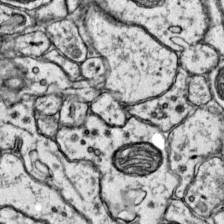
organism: Mouse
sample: Primary visual cortex